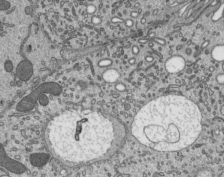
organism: Mouse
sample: Mouse epididymis efferent ductule cilia